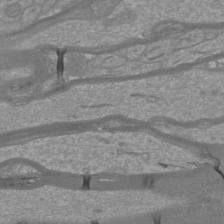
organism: Mouse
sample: Cortical neurons